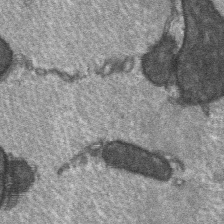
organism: C57BL Mouse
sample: Soleus